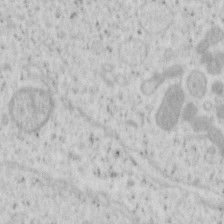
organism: Human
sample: HeLa cells